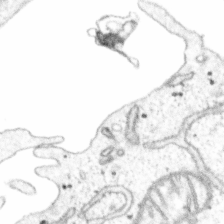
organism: Human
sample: HeLa cells